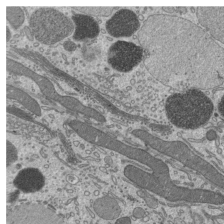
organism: Mouse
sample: Mouse epididymis efferent ductule cilia